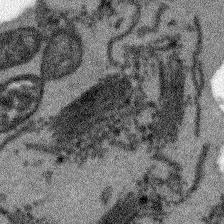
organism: Arabidopsis thaliana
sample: Root tip